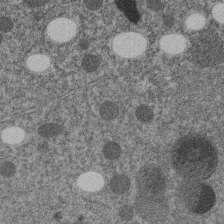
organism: C. elegans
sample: C. elegans embryo early stage